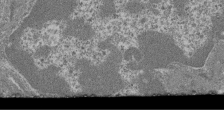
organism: Mouse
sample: Glomerulus